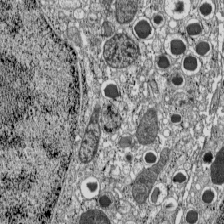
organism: C57BL Mouse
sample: Pancreatic islet